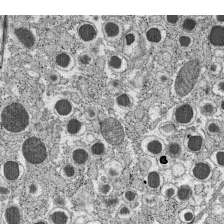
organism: C57BL Mouse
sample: Pancreatic islet